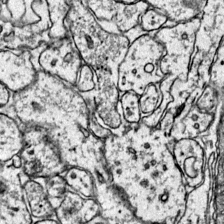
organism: Mouse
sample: Primary visual cortex